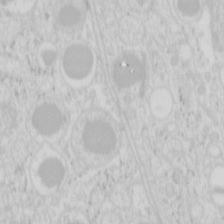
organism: Mouse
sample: Pancreas